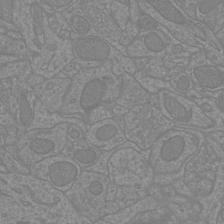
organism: Mouse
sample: Cortical neurons